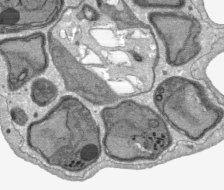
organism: Plasmodium falciparum